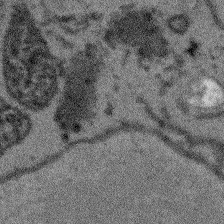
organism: Arabidopsis thaliana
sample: Root tip